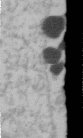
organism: Human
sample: U2-OS cells